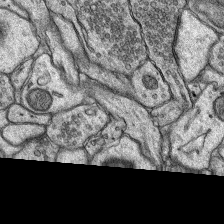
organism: Rat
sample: Hippocampus